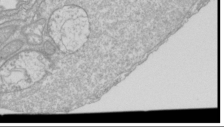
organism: Drosophila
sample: Cell division; meiosis; drosophila spermatocytes